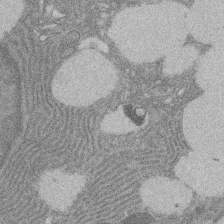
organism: Rat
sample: Salivary granule